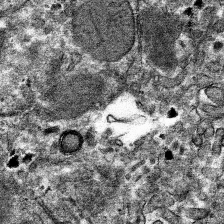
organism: Mouse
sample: Mouse hepatocytes